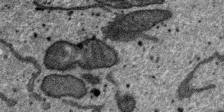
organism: Human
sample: Lung epithelial cells, uninfected (mock) control